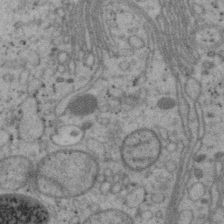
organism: Human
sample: HeLa cells